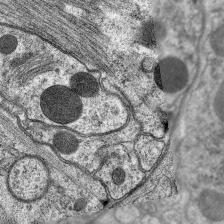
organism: C. elegans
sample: Pharynx